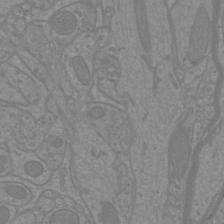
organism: Mouse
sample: Cortical neurons